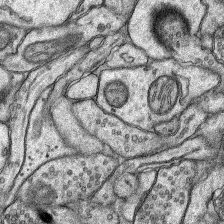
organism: Rat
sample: Hippocampus